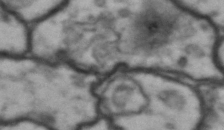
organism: Drosophila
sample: Brain